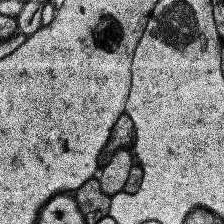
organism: Human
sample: Temporal Lobe